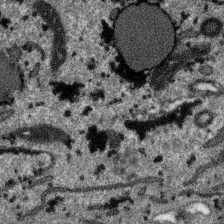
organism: Human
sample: Lung epithelial cells infected with SARS-CoV-2